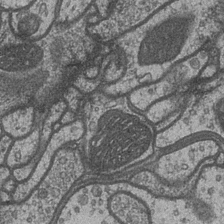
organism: Drosophila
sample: Optic medulla